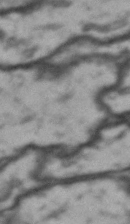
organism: Drosophila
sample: Brain